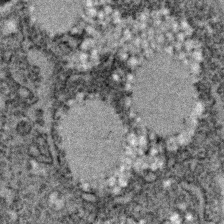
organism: C. elegans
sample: C. elegans embryo